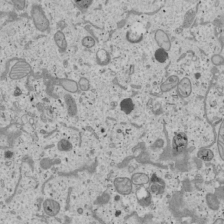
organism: Human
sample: Mitochondria in U2OS cells